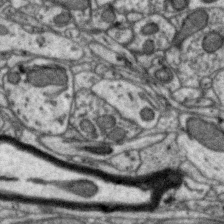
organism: Zebra finch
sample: Brain